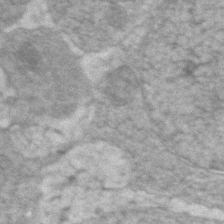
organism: Zebrafish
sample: Zebrafish embryo